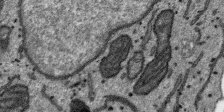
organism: Human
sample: Lung epithelial cells, uninfected (mock) control